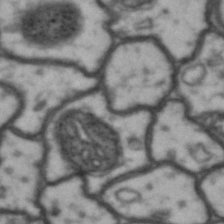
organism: Drosophila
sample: Brain